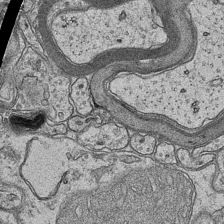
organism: Mouse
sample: CA1 Hippocampus